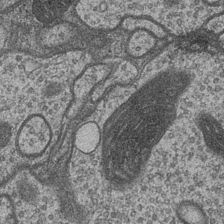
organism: Drosophila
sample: Optic medulla